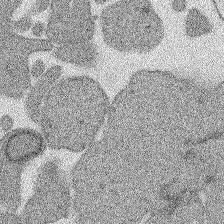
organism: Human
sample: HeLa cells